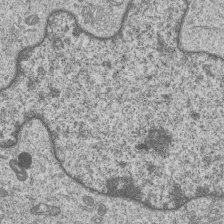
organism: Human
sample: MDA-MB-231 cells